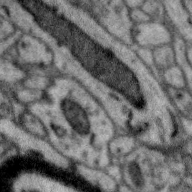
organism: Zebra finch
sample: Brain